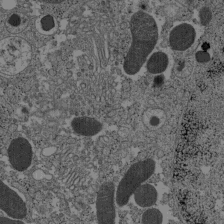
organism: C57BL Mouse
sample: Pancreatic islet